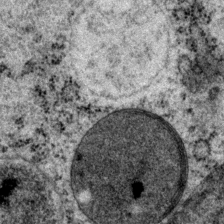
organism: P. pacificus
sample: Pharynx